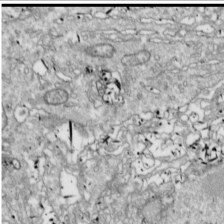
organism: Drosophila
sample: Cell division; meiosis; drosophila spermatocytes